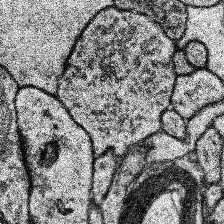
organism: Human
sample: Temporal Lobe